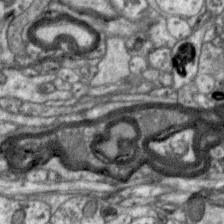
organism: Zebra finch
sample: Brain